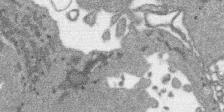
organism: Human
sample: Lung epithelial cells infected with SARS-CoV-2